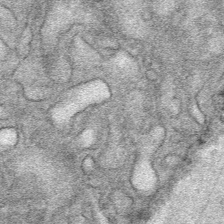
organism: Mouse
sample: Mouse Salivary gland